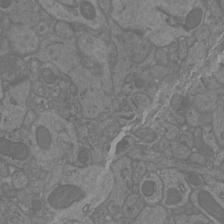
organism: Mouse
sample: Cortical neurons